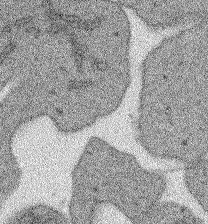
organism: Human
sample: HeLa cells